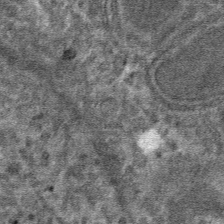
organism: Mouse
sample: Mouse hepatocytes